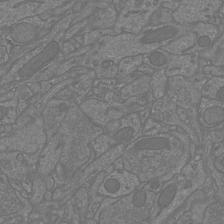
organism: Mouse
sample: Cortical neurons